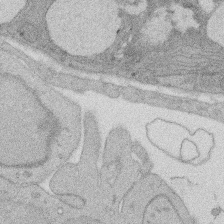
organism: Rat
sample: Salivary granule